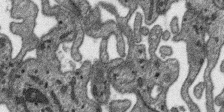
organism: Human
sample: Lung epithelial cells infected with SARS-CoV-2